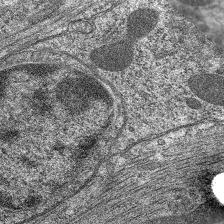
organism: C. elegans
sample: Pharynx